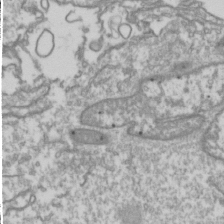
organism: Drosophila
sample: Cell division; meiosis; drosophila spermatocytes